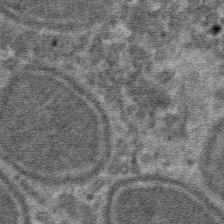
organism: Mouse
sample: Mouse hepatocytes